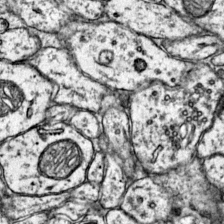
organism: Mouse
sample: Primary visual cortex